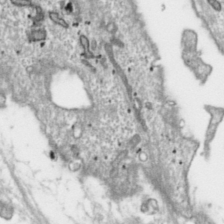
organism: Toxoplasma gondii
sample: Parasites in a vacuole inside a host cell